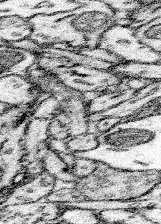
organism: Mouse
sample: Somatosensory cortex neuropil